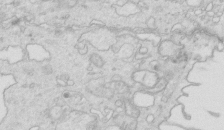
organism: Mouse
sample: Multiciliated cells